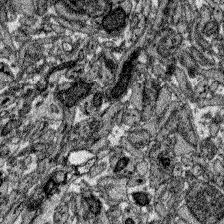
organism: Zebrafish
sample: Larval olfactory bulb